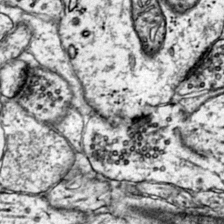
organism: Mouse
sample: Primary visual cortex